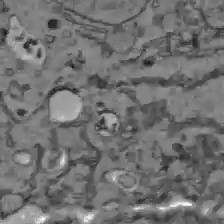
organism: C57BL Mouse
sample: Liver